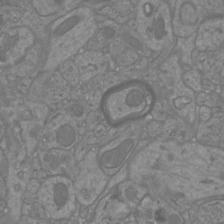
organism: Mouse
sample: Cortical neurons